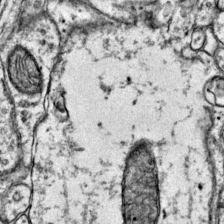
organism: Mouse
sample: Primary visual cortex